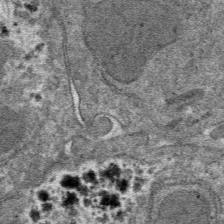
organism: Mouse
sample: Mouse hepatocytes